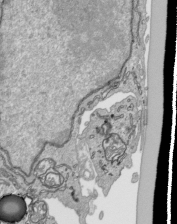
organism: Human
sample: Mitochondria in HCT116 cells